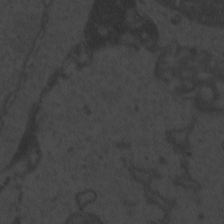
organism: Zebrafish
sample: Macrophage infected with Toxoplasma gondii